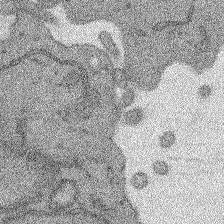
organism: Human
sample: HeLa cells